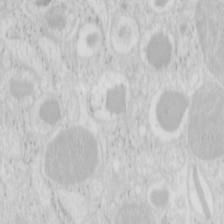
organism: Mouse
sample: Pancreas